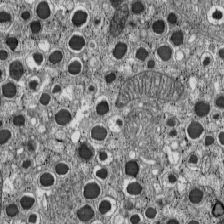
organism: C57BL Mouse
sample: Pancreatic islet